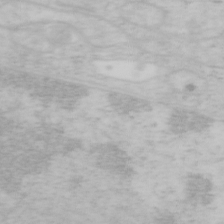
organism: Mouse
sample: OT-I killer T cells with ID8 ovarian cancer cells